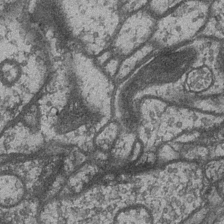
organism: Drosophila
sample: Optic medulla